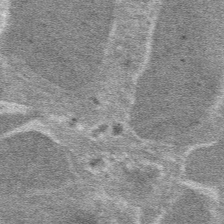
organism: Mouse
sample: Mouse hepatocytes